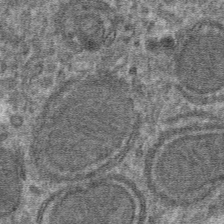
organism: Mouse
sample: Mouse hepatocytes